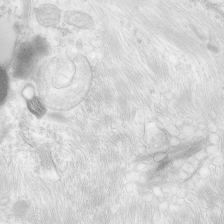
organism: Human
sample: Neocortex